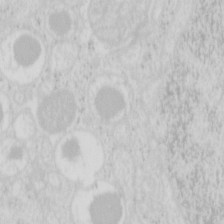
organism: Mouse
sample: Pancreas